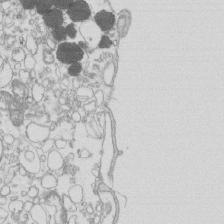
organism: Mouse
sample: Macrophages